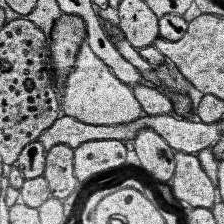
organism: Human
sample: Temporal Lobe